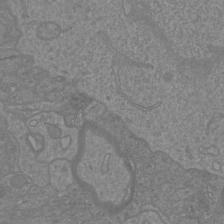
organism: Mouse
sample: Cortical neurons